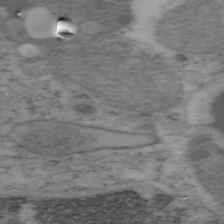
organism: Mouse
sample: OT-I killer T cells with ID8 ovarian cancer cells